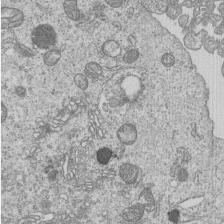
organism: Human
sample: MDA-MB-231 cells